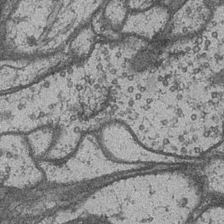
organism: Drosophila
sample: Optic medulla